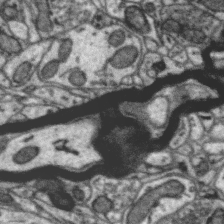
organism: Zebra finch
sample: Brain